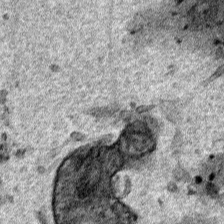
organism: Human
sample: Mitochondria in HCT116 cells